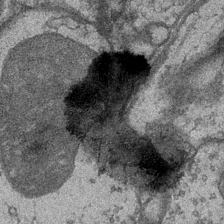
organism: Drosophila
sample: Optic medulla